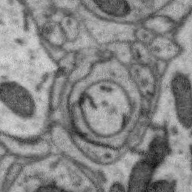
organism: Zebra finch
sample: Brain